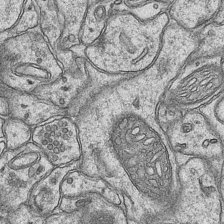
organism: Mouse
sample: CA1 Hippocampus